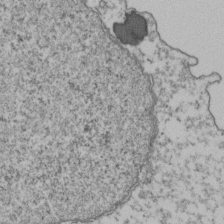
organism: Human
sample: Activated Jurkat CD4+ T cells